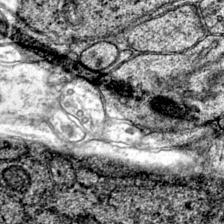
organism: Mouse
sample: Primary visual cortex